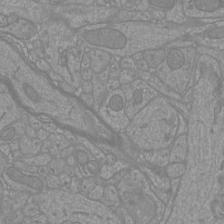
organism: Mouse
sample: Cortical neurons